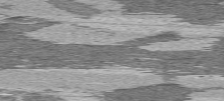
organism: C57BL Mouse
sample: Heart